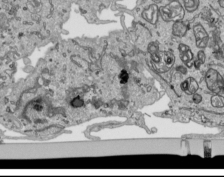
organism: Human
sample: Mitochondria in HCT116 cells